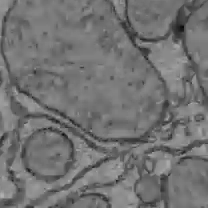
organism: C57BL Mouse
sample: Liver